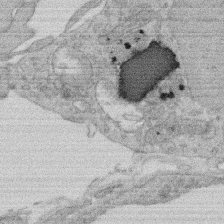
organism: Rat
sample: Salivary granule